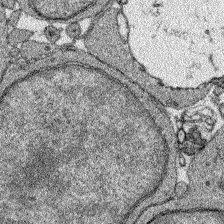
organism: Zebrafish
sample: Larval olfactory bulb